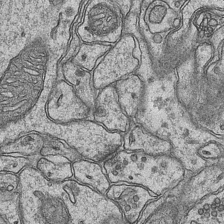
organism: Mouse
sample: CA1 Hippocampus